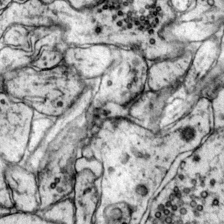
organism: Mouse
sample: Primary visual cortex